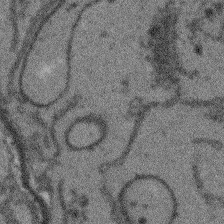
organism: Arabidopsis thaliana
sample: Root tip